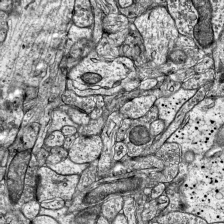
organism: Mouse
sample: Visual Cortex